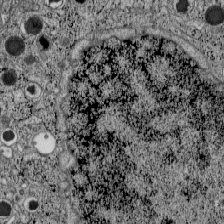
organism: C57BL Mouse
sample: Pancreatic islet